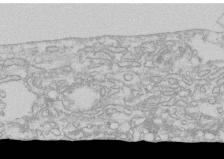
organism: Human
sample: CRL-1474